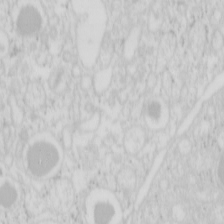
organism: Mouse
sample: Pancreas